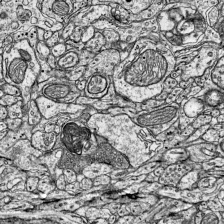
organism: Mouse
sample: Visual Cortex